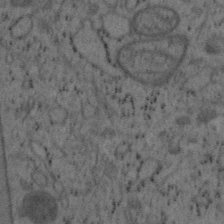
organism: Human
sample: HeLa cells